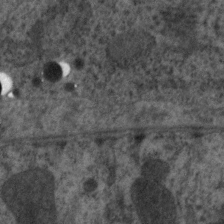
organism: C. elegans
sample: Pharynx